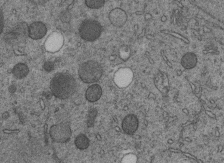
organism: C. elegans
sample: C. elegans embryo early stage